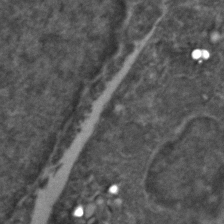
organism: Zebrafish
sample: Zebrafish embryo